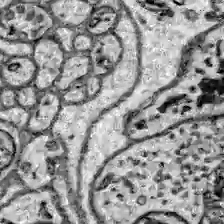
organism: Zebrafish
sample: Brain